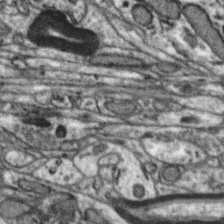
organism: Zebra finch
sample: Brain